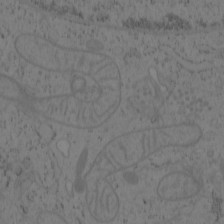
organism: Human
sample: HeLa cells